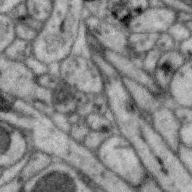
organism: Zebra finch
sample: Brain